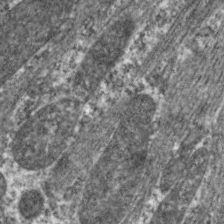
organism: C. elegans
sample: Pharynx